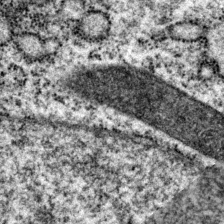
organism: P. pacificus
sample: Pharynx